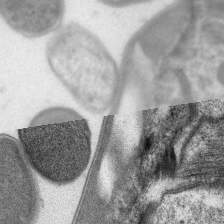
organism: C. elegans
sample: Pharynx